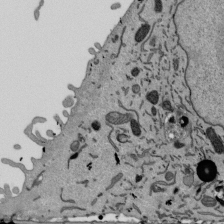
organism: Mouse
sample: ED-1 cell nuclei; centrioles